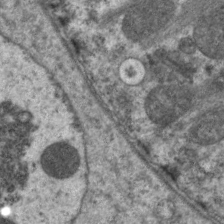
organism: C. elegans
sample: Pharynx